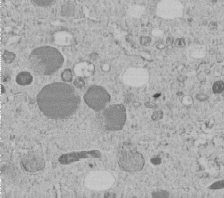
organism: C. elegans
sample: C. elegans embryo early stage